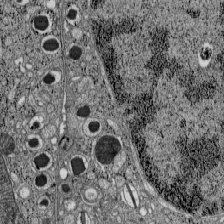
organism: C57BL Mouse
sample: Pancreatic islet